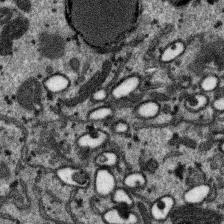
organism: Human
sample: Lung epithelial cells infected with SARS-CoV-2